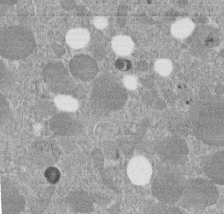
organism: C. elegans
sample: C. elegans embryo early stage